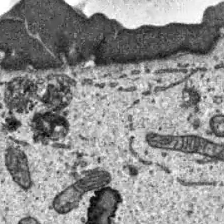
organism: Human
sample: HeLa cells